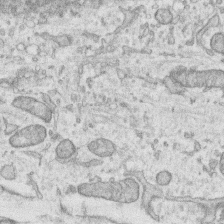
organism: Human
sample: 1205lu cells